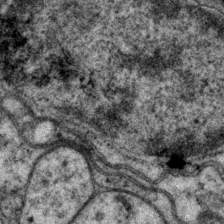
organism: P. pacificus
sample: Pharynx